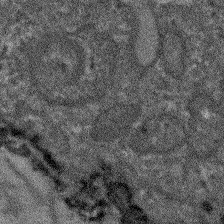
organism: Arabidopsis thaliana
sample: Root tip